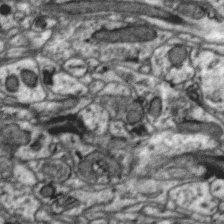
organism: Zebra finch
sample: Brain